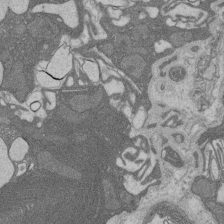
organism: Rat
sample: Salivary granule